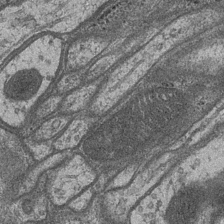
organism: Drosophila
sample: Optic medulla